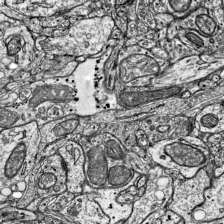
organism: Mouse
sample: Visual Cortex